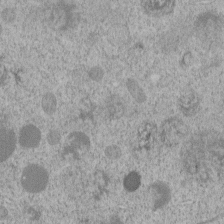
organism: C. elegans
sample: C. elegans embryo early stage